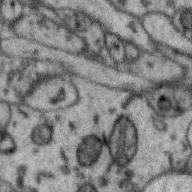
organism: Zebra finch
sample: Brain